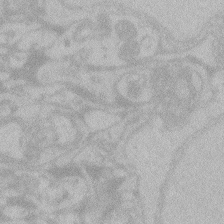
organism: Zebrafish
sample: Macrophage infected with Toxoplasma gondii